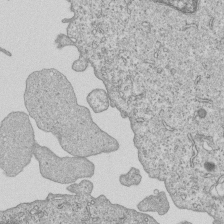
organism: Human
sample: MDA-MB-231 cells